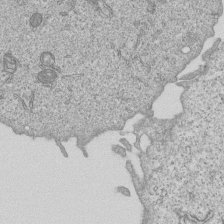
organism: Human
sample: MDA-MB-231 cells